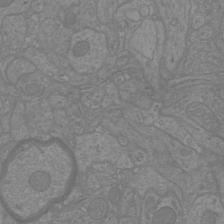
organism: Mouse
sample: Cortical neurons